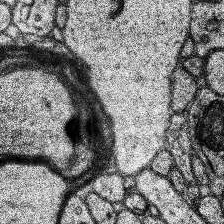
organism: Human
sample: Temporal Lobe